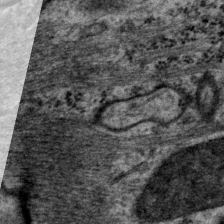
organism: P. pacificus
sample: Pharynx